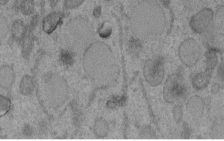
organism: C. elegans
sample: C. elegans embryo early stage